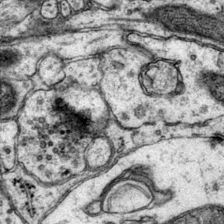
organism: Mouse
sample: Primary visual cortex